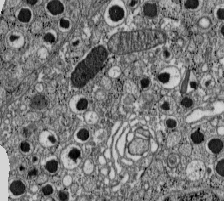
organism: C57BL Mouse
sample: Pancreatic islet